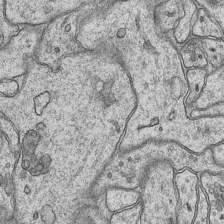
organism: Mouse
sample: CA1 Hippocampus